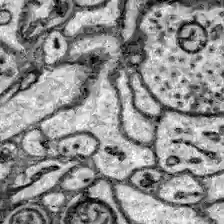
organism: Zebrafish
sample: Brain